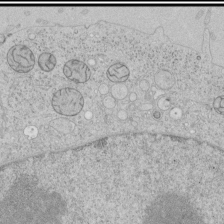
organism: Human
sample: Mitochondria in HCT116 cells